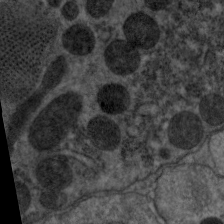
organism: C. elegans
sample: Pharynx